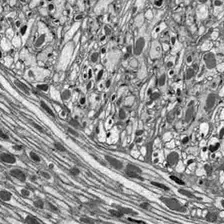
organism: Drosophila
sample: Optic lobe